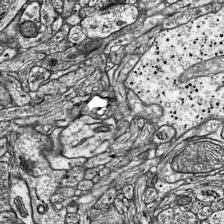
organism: Mouse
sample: Visual Cortex